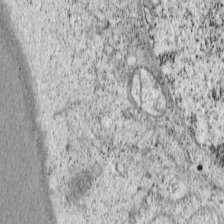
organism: African green monkey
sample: COS-7 cells